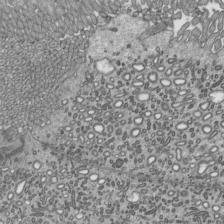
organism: Mouse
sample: Mouse epididymis efferent ductule cilia